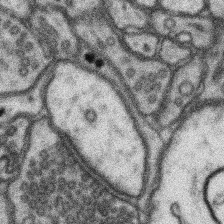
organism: Mouse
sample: Somatosensory cortex neuropil